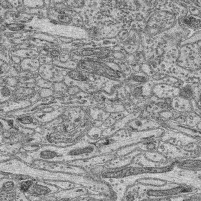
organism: Mouse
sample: Retina